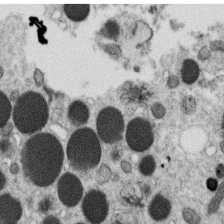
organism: C. elegans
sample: C. elegans oocyte; sperm cells